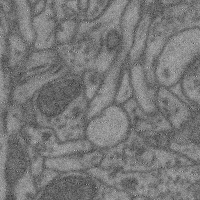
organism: Mouse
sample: Cerebral cortex